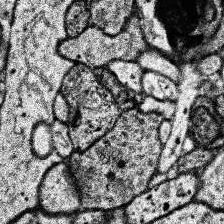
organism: Human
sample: Temporal Lobe